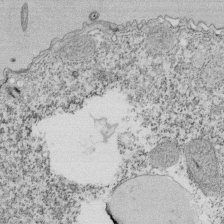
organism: Tetrahymena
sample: Cilia in tetrahymena